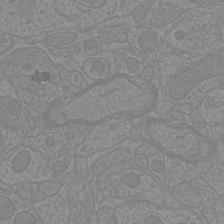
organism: Mouse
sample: Cortical neurons